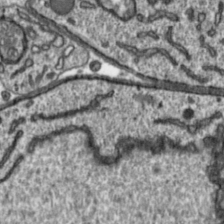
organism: Toxoplasma gondii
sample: Parasites in a vacuole inside a host cell